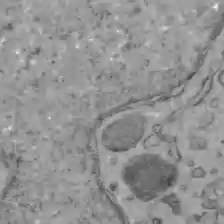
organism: C57BL Mouse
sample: Liver